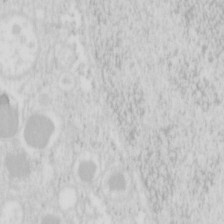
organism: Mouse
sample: Pancreas